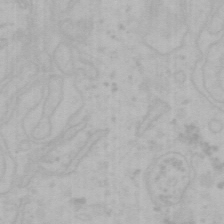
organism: Mouse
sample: Choroid plexus